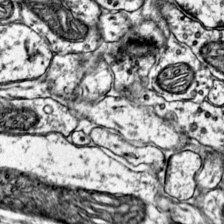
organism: Mouse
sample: Primary visual cortex